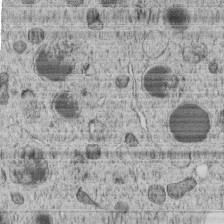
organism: C. elegans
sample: C. elegans embryo early stage